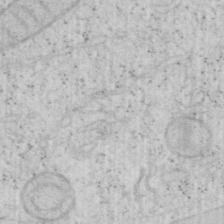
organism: Human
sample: HeLa cells